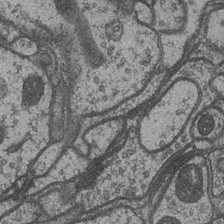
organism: Drosophila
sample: Optic medulla